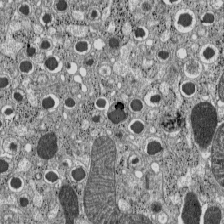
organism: C57BL Mouse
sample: Pancreatic islet